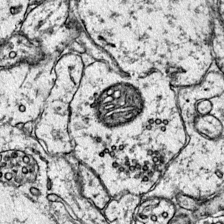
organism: Mouse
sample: Primary visual cortex